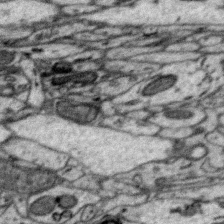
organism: Zebra finch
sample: Brain